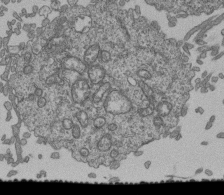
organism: Human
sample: Retinal organoid Rod and Cone cells